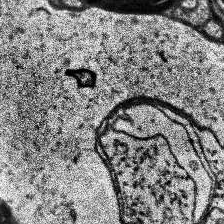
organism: Human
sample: Temporal Lobe